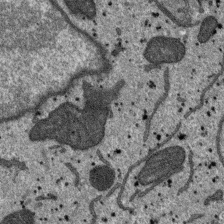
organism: Human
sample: Lung epithelial cells, uninfected (mock) control